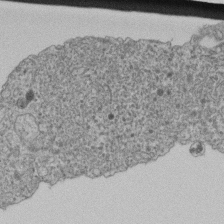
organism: Human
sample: Retinal organoid Rod and Cone cells